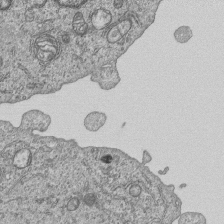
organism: Human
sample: MDA-MB-231 cells